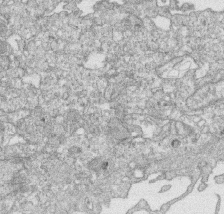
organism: Human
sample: HeLa cell HIV synapse